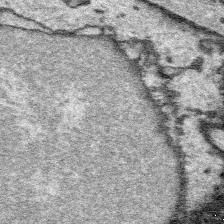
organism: Platynereis dumerilii